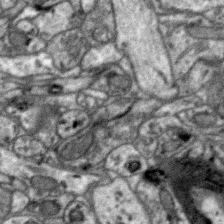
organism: Zebra finch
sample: Brain